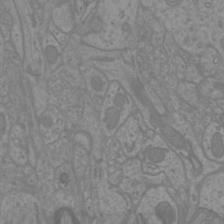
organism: Mouse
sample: Cortical neurons